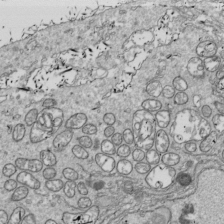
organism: Drosophila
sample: Cell division; meiosis; drosophila spermatocytes